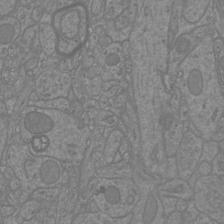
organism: Mouse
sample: Cortical neurons